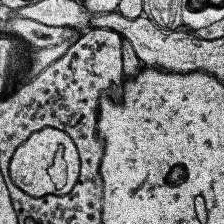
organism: Human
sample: Temporal Lobe